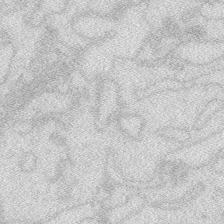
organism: Zebrafish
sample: Macrophage